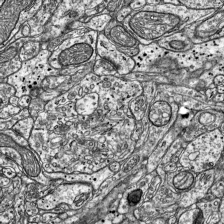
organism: Mouse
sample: Visual Cortex